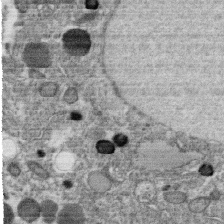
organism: C. elegans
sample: C. elegans oocyte; sperm cells